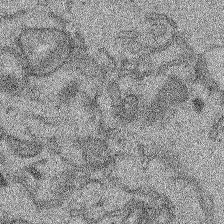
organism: Human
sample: HeLa cells